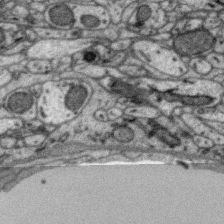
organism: Zebra finch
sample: Brain